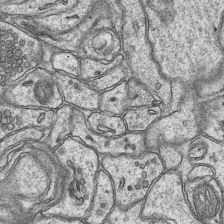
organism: Mouse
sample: CA1 Hippocampus